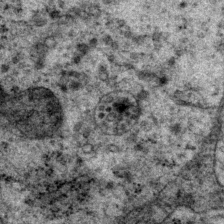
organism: P. pacificus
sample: Pharynx